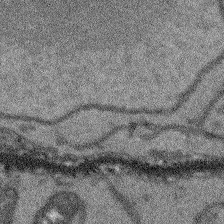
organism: Arabidopsis thaliana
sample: Root tip